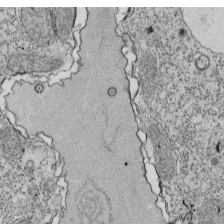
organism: Tetrahymena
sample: Cilia in tetrahymena